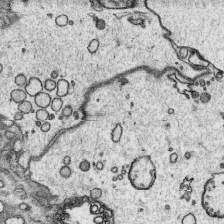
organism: Platynereis dumerilii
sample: Parapodia